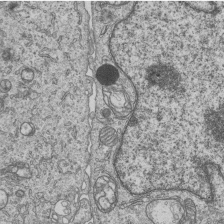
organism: Human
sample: MDA-MB-231 cells